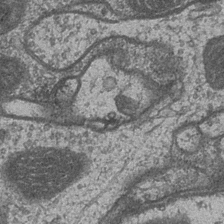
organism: Drosophila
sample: Optic medulla